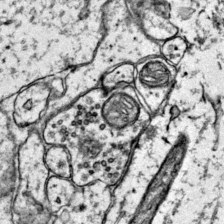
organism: Mouse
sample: Primary visual cortex